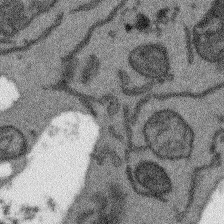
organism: Arabidopsis thaliana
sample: Root tip